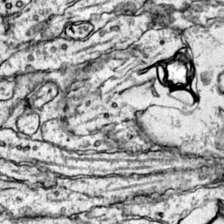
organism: Mouse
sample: Primary visual cortex